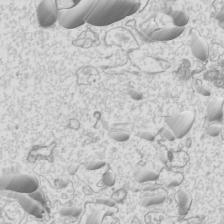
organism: Mouse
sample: Cilia; mouse epididymis